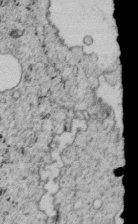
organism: C. elegans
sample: C. elegans embryo early stage